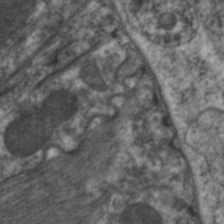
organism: C. elegans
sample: Pharynx